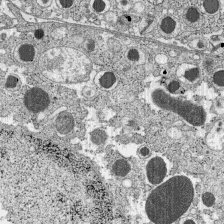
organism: C57BL Mouse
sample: Pancreatic islet